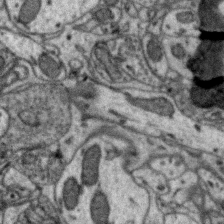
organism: Zebra finch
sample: Brain